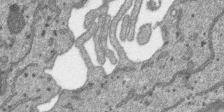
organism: Human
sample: Lung epithelial cells infected with SARS-CoV-2